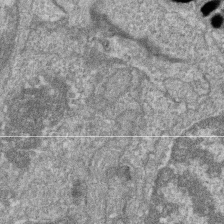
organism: Zebrafish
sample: Cilia; retinal pigment epithelium